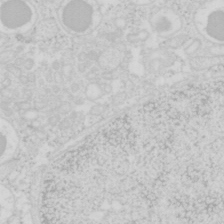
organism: Mouse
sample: Pancreas